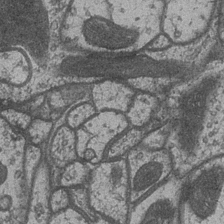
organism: Drosophila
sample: Optic medulla